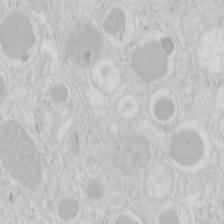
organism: Mouse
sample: Pancreas